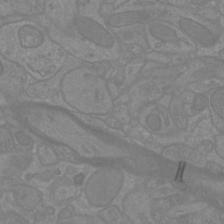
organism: Mouse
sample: Cortical neurons